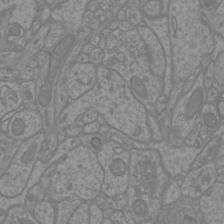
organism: Mouse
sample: Cortical neurons